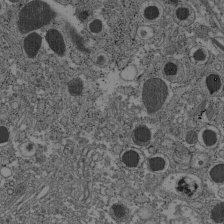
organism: C57BL Mouse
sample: Pancreatic islet